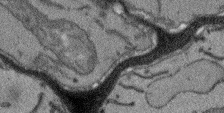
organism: Arabidopsis thaliana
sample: Root tip